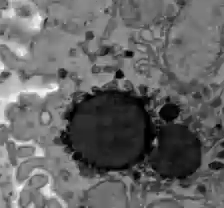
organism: C57BL Mouse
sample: Liver